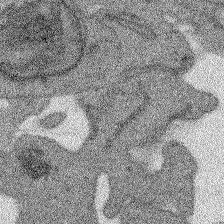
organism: Human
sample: HeLa cells